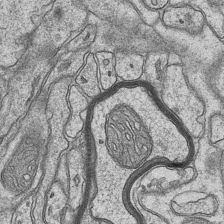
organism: Mouse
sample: CA1 Hippocampus